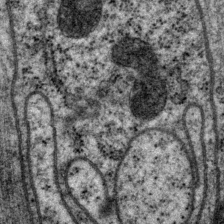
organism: P. pacificus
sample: Pharynx